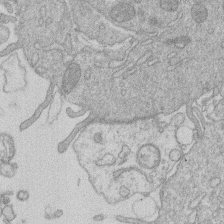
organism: Human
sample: Macrophage cells